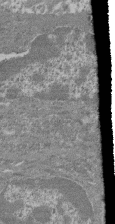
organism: Mouse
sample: Glomerulus